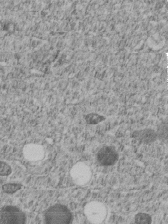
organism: C. elegans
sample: C. elegans embryo early stage